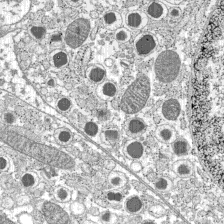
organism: C57BL Mouse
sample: Pancreatic islet